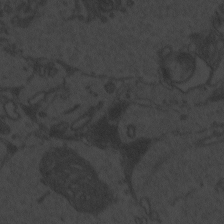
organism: Zebrafish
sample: Macrophage infected with Toxoplasma gondii